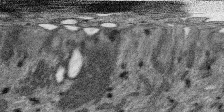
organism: Human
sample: Lung epithelial cells infected with SARS-CoV-2